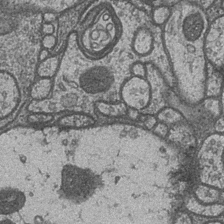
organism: Drosophila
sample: Optic medulla